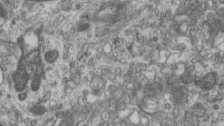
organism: Mouse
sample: Centriole in ependymal cells